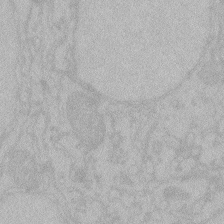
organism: Zebrafish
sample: Macrophage infected with Toxoplasma gondii